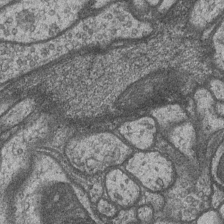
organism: Drosophila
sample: Optic medulla